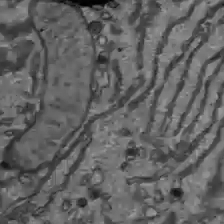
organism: C57BL Mouse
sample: Liver